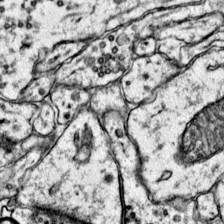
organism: Mouse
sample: Primary visual cortex